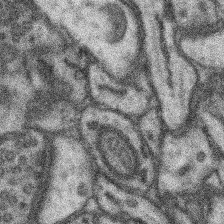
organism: Mouse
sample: Somatosensory cortex neuropil